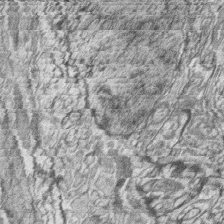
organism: Zebrafish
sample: synaptic ribbons in rod cells and cone cells